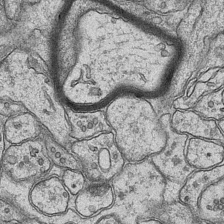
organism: Mouse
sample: CA1 Hippocampus